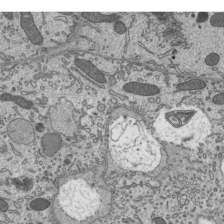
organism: Mouse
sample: Mouse epididymis efferent ductule cilia